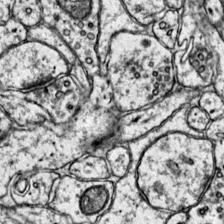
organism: Mouse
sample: Primary visual cortex